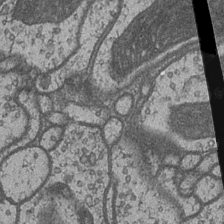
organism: Drosophila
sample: Optic medulla